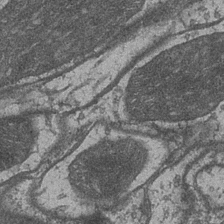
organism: Drosophila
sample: Optic medulla